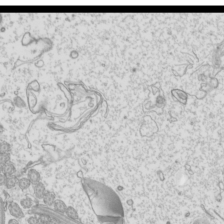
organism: Mouse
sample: Cilia; mouse epididymis